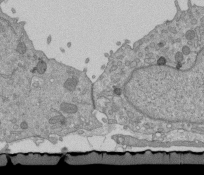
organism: Mouse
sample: ED-1 cell nuclei; centrioles